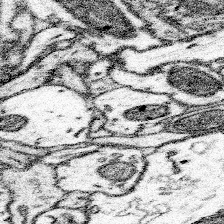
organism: Mouse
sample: Somatosensory cortex neuropil